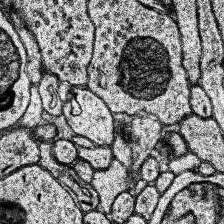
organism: Human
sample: Temporal Lobe